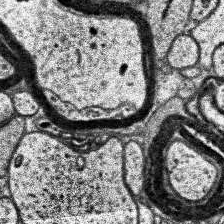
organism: Human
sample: Temporal Lobe